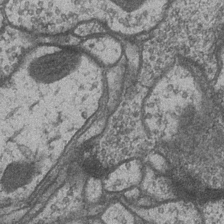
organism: Drosophila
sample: Optic medulla